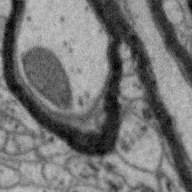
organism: Zebra finch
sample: Brain